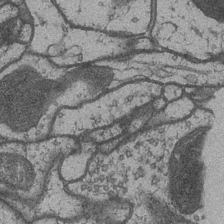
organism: Drosophila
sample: Optic medulla